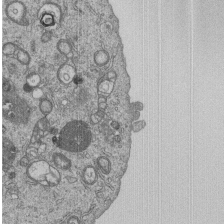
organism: Human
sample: MDA-MB-231 cells